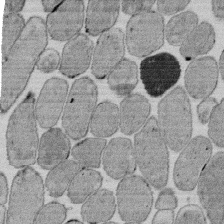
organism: E. coli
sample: Bacterial nucleoid